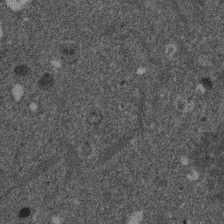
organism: Mouse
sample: Dividing mouse embryo 1 cell stage